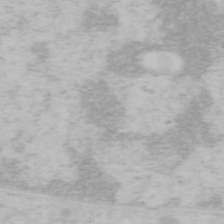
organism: Mouse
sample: OT-I killer T cells with ID8 ovarian cancer cells